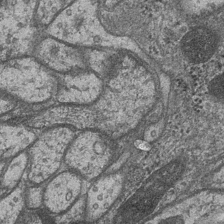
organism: Drosophila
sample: Optic medulla